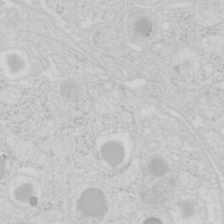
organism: Mouse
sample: Pancreas